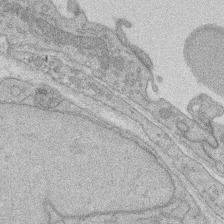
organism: Rat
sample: Salivary granule